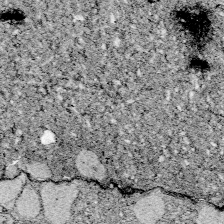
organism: Zebrafish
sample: Whole-Brain